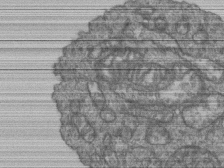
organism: Human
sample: Retinal organoid Rod and Cone cells